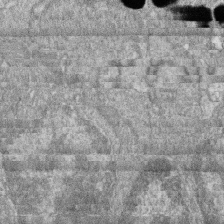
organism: Zebrafish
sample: Cilia; retinal pigment epithelium